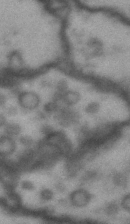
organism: Drosophila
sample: Brain